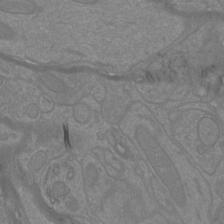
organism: Mouse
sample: Cortical neurons